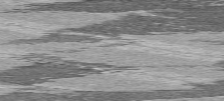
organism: C57BL Mouse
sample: Heart